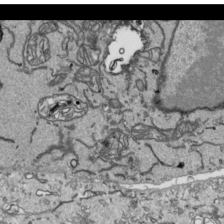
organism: Human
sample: Mitochondria in HCT116 cells